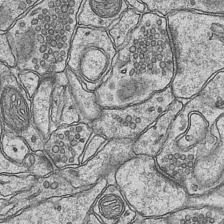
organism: Mouse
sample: CA1 Hippocampus